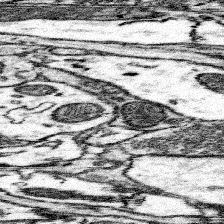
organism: Mouse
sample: Somatosensory cortex neuropil